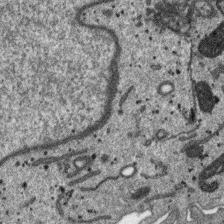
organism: Human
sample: Lung epithelial cells infected with SARS-CoV-2